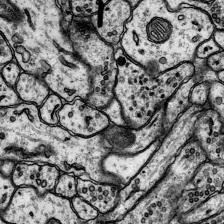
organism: Rat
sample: Hippocampus